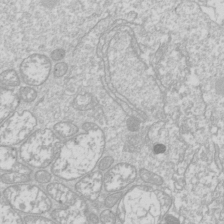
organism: Drosophila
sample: Cell division; meiosis; drosophila spermatocytes